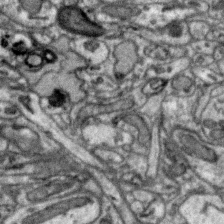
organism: Zebra finch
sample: Brain